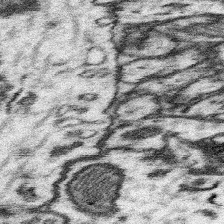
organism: Mouse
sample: Somatosensory cortex neuropil